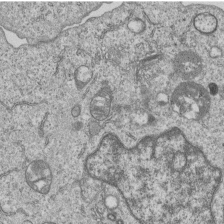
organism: Human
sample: MDA-MB-231 cells